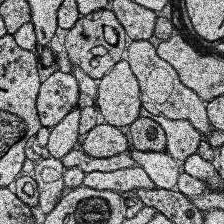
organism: Human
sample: Temporal Lobe